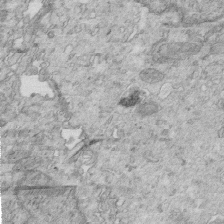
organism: Mouse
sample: Multiciliated cells